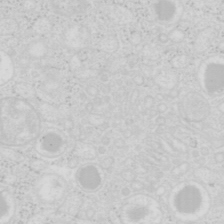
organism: Mouse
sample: Pancreas